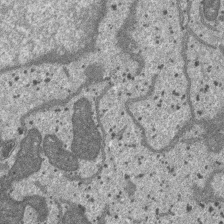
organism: Human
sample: Lung epithelial cells infected with SARS-CoV-2